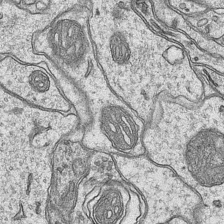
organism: Mouse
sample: CA1 Hippocampus